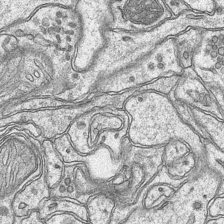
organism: Mouse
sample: CA1 Hippocampus